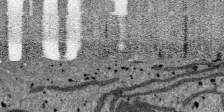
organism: Human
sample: Lung epithelial cells, uninfected (mock) control